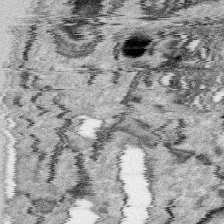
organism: Human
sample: HeLa cells